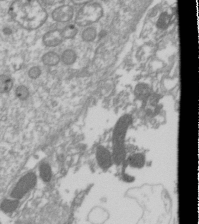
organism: Drosophila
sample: Cell division; meiosis; drosophila spermatocytes